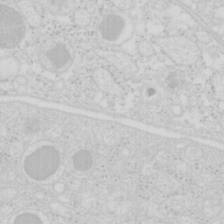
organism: Mouse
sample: Pancreas